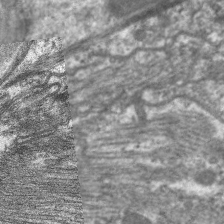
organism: C. elegans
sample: Pharynx